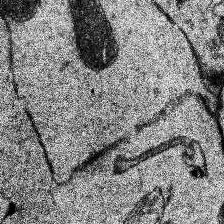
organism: Human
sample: Temporal Lobe